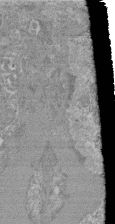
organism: Mouse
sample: Glomerulus